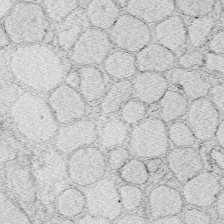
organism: Zebrafish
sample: Whole-Brain